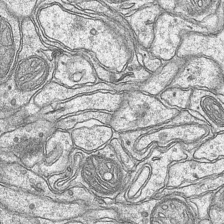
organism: Mouse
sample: CA1 Hippocampus